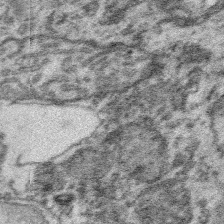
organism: Platynereis dumerilii